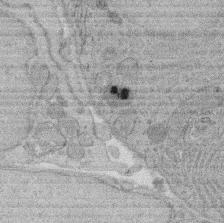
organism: Rat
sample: Salivary granule